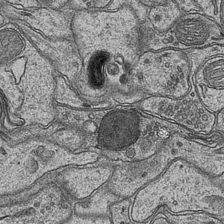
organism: Mouse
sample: CA1 Hippocampus